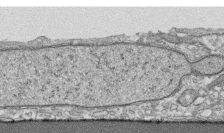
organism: Human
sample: CRL-1474